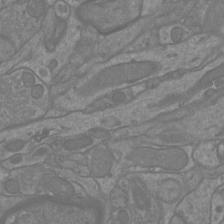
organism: Mouse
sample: Cortical neurons